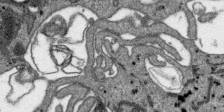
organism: Human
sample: Lung epithelial cells, uninfected (mock) control